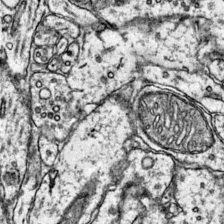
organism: Mouse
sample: Primary visual cortex